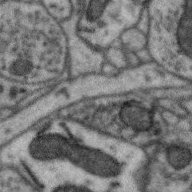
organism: Zebra finch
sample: Brain